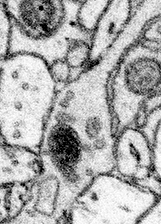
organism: Mouse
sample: Somatosensory cortex neuropil